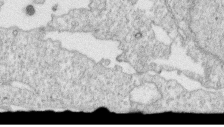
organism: Human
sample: HeLa cell HIV synapse